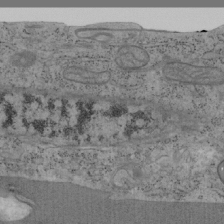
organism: Human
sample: HeLa cells